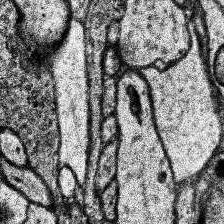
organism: Human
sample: Temporal Lobe